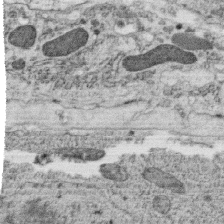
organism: C. elegans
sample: C. elegans oocyte; sperm cells